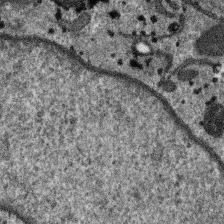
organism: Human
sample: Lung epithelial cells infected with SARS-CoV-2